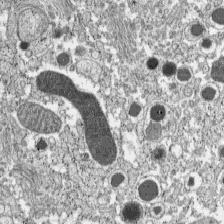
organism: C57BL Mouse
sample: Pancreatic islet